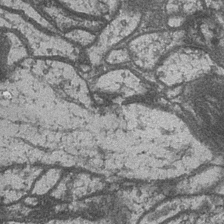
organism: Drosophila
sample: Optic medulla